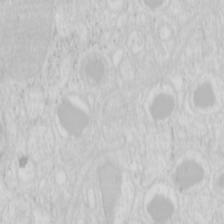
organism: Mouse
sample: Pancreas